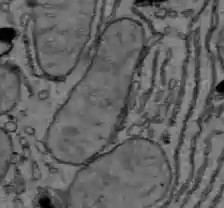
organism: C57BL Mouse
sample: Liver